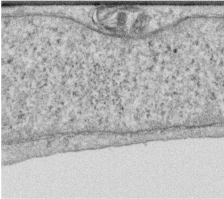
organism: Human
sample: Centriole in RPE cells